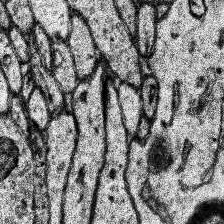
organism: Human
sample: Temporal Lobe